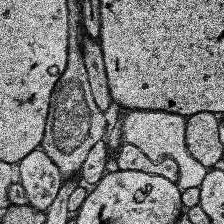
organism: Human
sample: Temporal Lobe